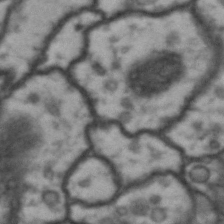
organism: Drosophila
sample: Brain